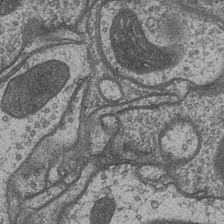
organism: Drosophila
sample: Optic medulla